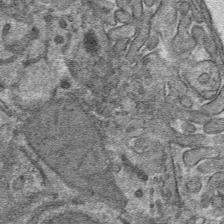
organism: Mouse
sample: Mouse hepatocytes